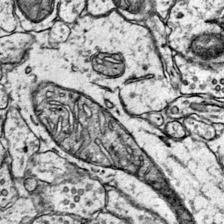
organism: Mouse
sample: Primary visual cortex